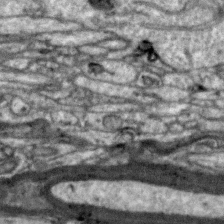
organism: Zebra finch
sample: Brain